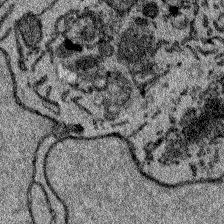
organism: Zebrafish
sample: Larval olfactory bulb